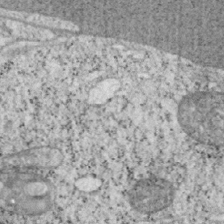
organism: Mouse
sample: OT-I killer T cells with ID8 ovarian cancer cells